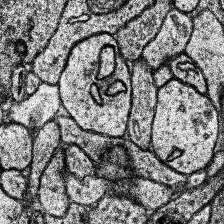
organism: Human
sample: Temporal Lobe